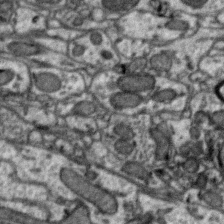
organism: Zebra finch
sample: Brain